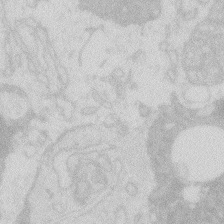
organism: Zebrafish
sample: Macrophage